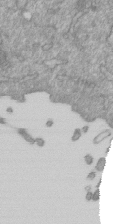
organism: Mouse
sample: ED-1 cell nuclei; centrioles